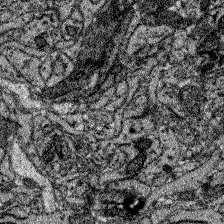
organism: Zebrafish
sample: Larval olfactory bulb